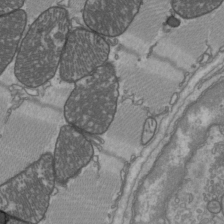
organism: C57BL Mouse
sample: Heart